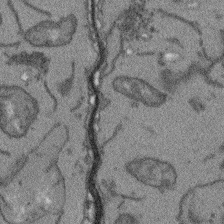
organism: Arabidopsis thaliana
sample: Root tip